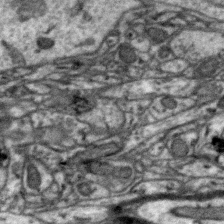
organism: Zebra finch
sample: Brain